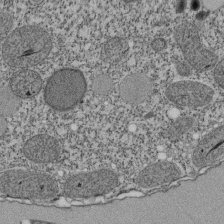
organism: Tetrahymena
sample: Cilia in tetrahymena